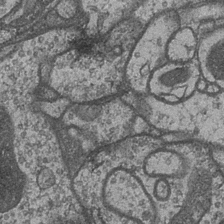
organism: Drosophila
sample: Optic medulla